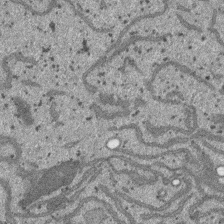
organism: Human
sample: Lung epithelial cells infected with SARS-CoV-2